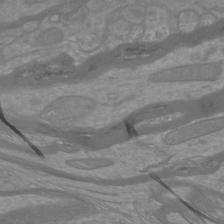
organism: Mouse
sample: Cortical neurons